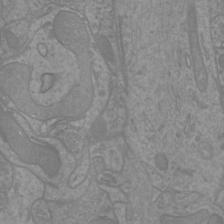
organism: Mouse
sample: Cortical neurons